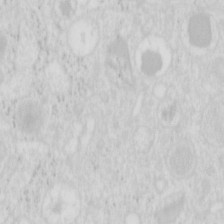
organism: Mouse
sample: Pancreas